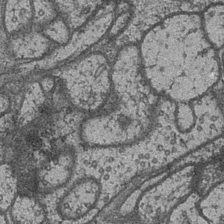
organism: Drosophila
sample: Optic medulla